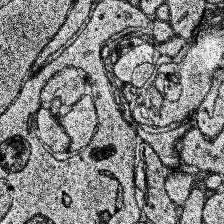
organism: Human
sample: Temporal Lobe